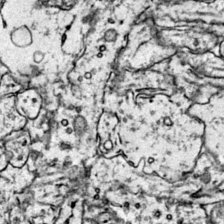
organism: Mouse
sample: Primary visual cortex